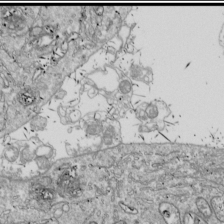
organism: Drosophila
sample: Cell division; meiosis; drosophila spermatocytes